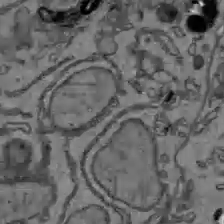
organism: C57BL Mouse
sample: Liver